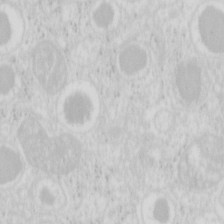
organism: Mouse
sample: Pancreas